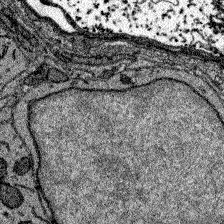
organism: Zebrafish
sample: Larval olfactory bulb